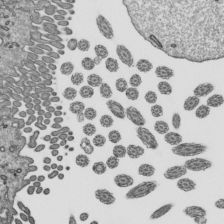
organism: Mouse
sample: Mouse epididymis efferent ductule cilia